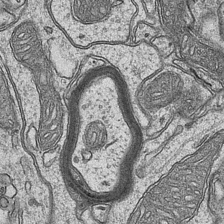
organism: Mouse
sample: CA1 Hippocampus